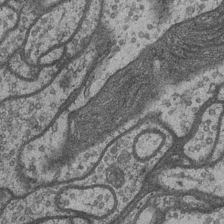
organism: Drosophila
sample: Optic medulla